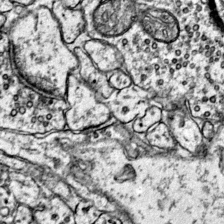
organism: Mouse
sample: Primary visual cortex